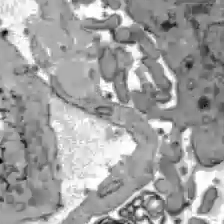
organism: C57BL Mouse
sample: Liver